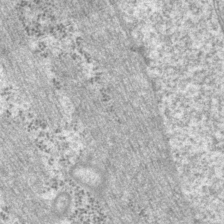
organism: P. pacificus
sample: Pharynx